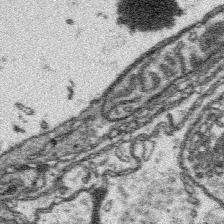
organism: Platynereis dumerilii